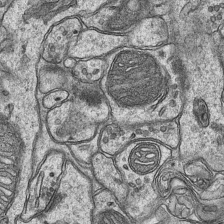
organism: Mouse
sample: CA1 Hippocampus